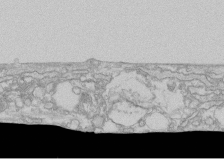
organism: Human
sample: CRL-1474